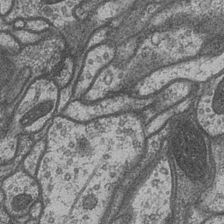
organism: Drosophila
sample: Optic medulla